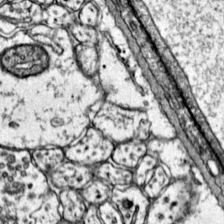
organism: Mouse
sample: Primary visual cortex